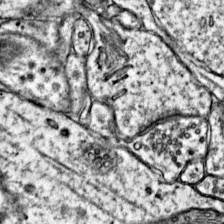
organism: Mouse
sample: Primary visual cortex